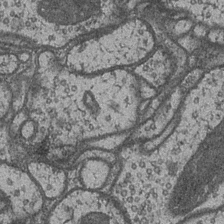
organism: Drosophila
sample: Optic medulla